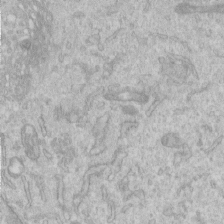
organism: Human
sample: Centriole in RPE cells